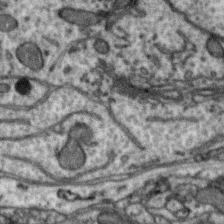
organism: Zebra finch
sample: Brain